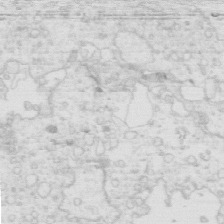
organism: Mouse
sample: Multiciliated cells